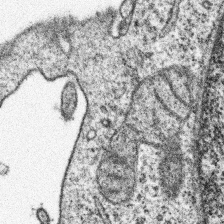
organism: Human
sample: HeLa cells